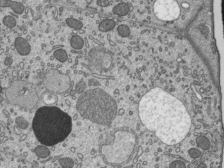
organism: Mouse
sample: Mouse epididymis efferent ductule cilia